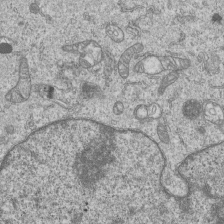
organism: Human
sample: MDA-MB-231 cells